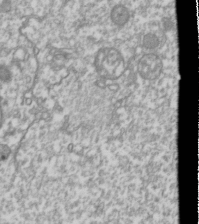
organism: Drosophila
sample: Cell division; meiosis; drosophila spermatocytes